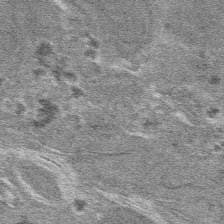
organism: Mouse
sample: Mouse hepatocytes